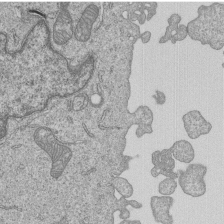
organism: Human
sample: MDA-MB-231 cells